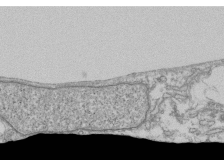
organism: Human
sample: Fibroblast cells